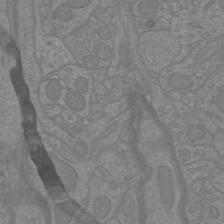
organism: Mouse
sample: Cortical neurons